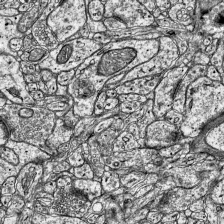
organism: Mouse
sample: Visual Cortex